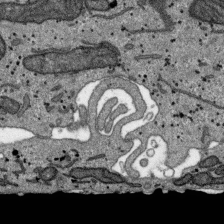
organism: Human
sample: Lung epithelial cells, uninfected (mock) control